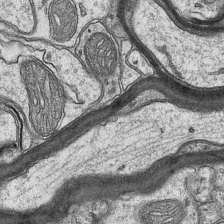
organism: Mouse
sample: CA1 Hippocampus